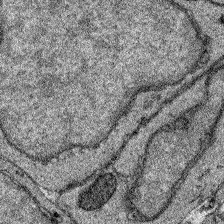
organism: Zebrafish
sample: Larval olfactory bulb